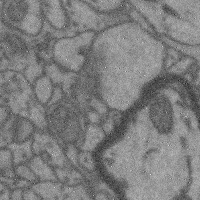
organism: Mouse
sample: Cerebral cortex